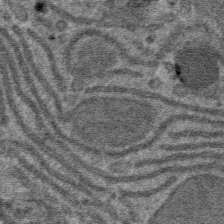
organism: Mouse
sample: Mouse hepatocytes